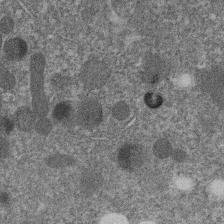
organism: C. elegans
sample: C. elegans embryo early stage